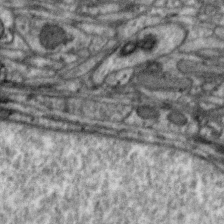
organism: Zebra finch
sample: Brain